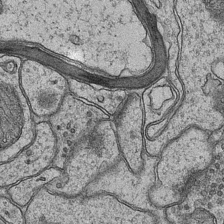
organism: Mouse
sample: CA1 Hippocampus